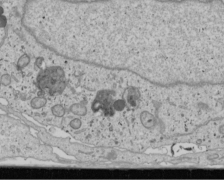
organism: Human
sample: Mitochondria in U2OS cells